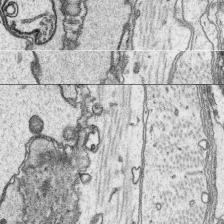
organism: Platynereis dumerilii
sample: Parapodia